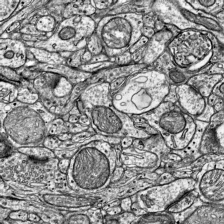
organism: Mouse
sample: Visual Cortex